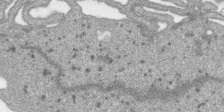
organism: Human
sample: Lung epithelial cells infected with SARS-CoV-2